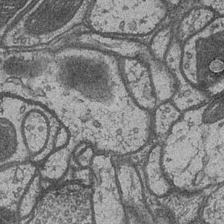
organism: Drosophila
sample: Optic medulla